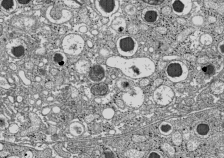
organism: C57BL Mouse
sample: Pancreatic islet